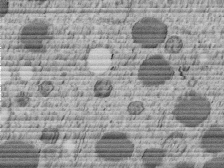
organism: C. elegans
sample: C. elegans embryo early stage